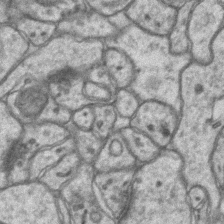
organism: Mouse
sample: CA1 Hippocampus